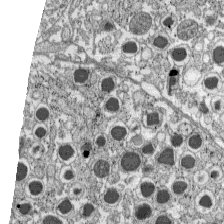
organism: C57BL Mouse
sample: Pancreatic islet